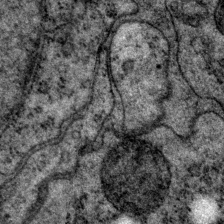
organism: P. pacificus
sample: Pharynx